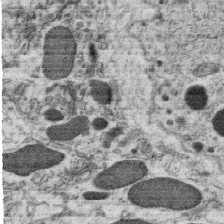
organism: C. elegans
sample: C. elegans oocyte; sperm cells